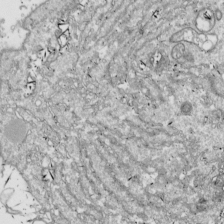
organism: Drosophila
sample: Cell division; meiosis; drosophila spermatocytes